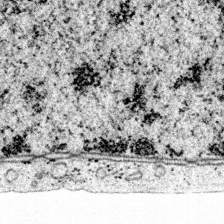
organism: Human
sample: HeLa cells